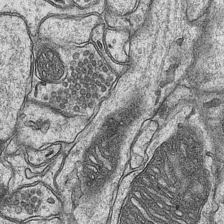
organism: Mouse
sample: CA1 Hippocampus